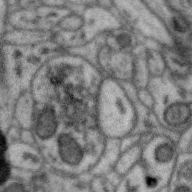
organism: Zebra finch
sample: Brain